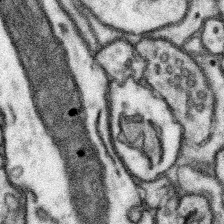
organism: Mouse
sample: Somatosensory cortex neuropil